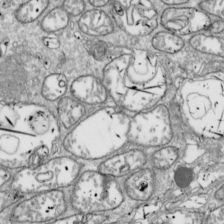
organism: Drosophila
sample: Cell division; meiosis; drosophila spermatocytes